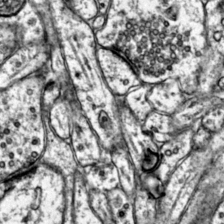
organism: Mouse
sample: Primary visual cortex